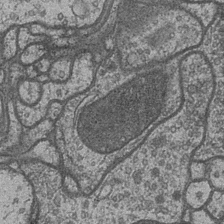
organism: Drosophila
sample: Optic medulla